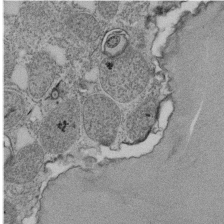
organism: Tetrahymena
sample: Cilia in tetrahymena